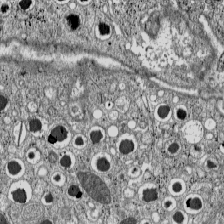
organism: C57BL Mouse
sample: Pancreatic islet